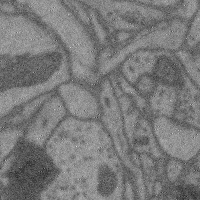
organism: Mouse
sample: Cerebral cortex